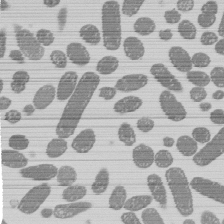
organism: E. coli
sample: Bacterial nucleoid